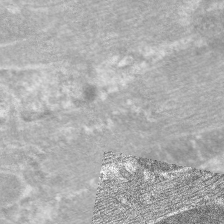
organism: C. elegans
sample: Pharynx